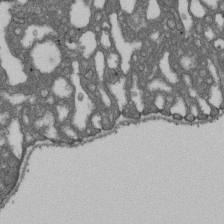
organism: Drosophila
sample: Nephrocyte